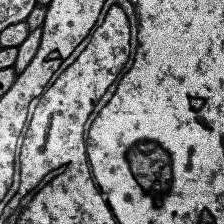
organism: Human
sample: Temporal Lobe